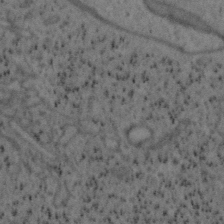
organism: Human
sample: HeLa cells